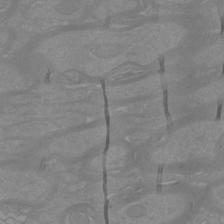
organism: Mouse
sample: Cortical neurons